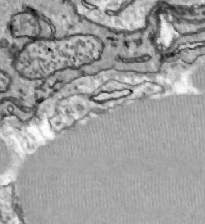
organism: Zebrafish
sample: Actinotrichia fibers